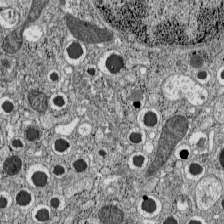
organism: C57BL Mouse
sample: Pancreatic islet